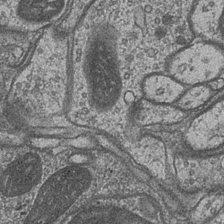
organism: Drosophila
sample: Optic medulla